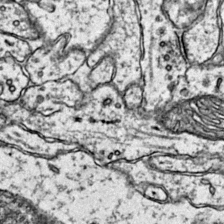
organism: Mouse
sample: Primary visual cortex